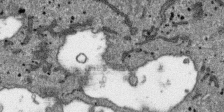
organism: Human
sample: Lung epithelial cells, uninfected (mock) control